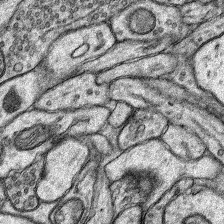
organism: Rat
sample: Hippocampus